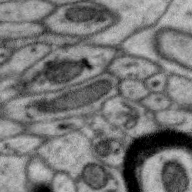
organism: Zebra finch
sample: Brain